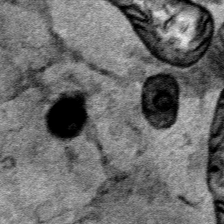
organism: Human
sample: Mitochondria in HCT116 cells